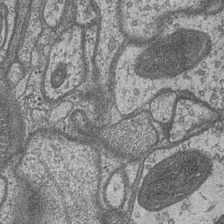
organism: Drosophila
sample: Optic medulla